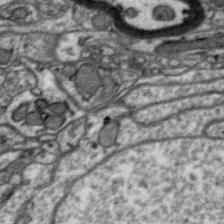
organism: Zebra finch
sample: Brain